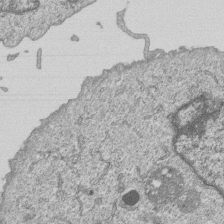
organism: Human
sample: MDA-MB-231 cells